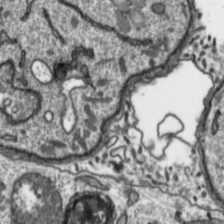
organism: Toxoplasma gondii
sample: Parasites in a vacuole inside a host cell